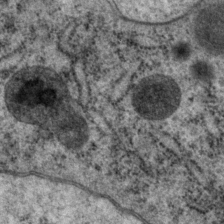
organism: P. pacificus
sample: Pharynx